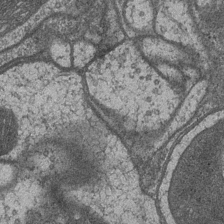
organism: Drosophila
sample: Optic medulla